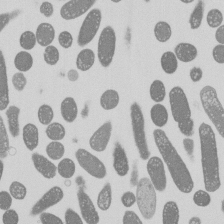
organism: E. coli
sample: Bacterial nucleoid